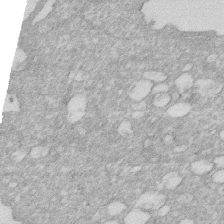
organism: Human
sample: HIV infected U937 cells